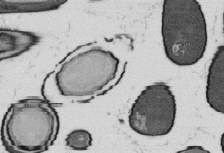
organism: B. subtilis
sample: Bacterial spore